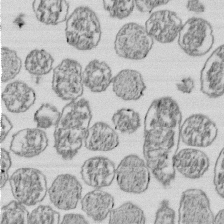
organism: E. coli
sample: Bacterial nucleoid